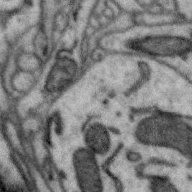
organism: Zebra finch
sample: Brain